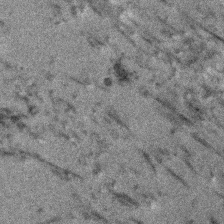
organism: Human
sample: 1205lu cells